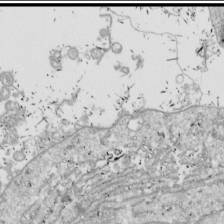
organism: Drosophila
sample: Cell division; meiosis; drosophila spermatocytes